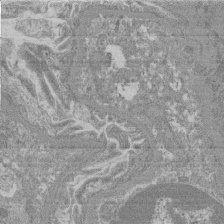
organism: Mouse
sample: Glomerulus